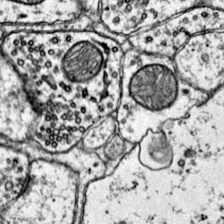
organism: Mouse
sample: Primary visual cortex